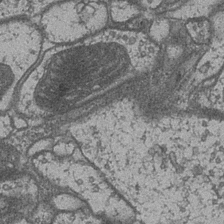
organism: Drosophila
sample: Optic medulla